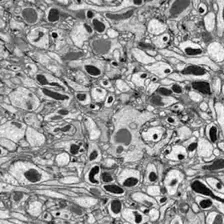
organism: Drosophila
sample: Optic lobe